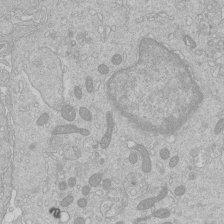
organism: Human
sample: Macrophage cells